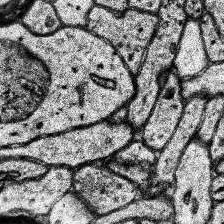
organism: Human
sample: Temporal Lobe